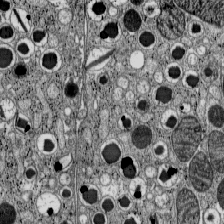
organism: C57BL Mouse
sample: Pancreatic islet